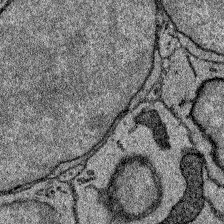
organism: Zebrafish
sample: Larval olfactory bulb